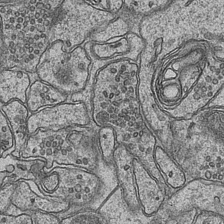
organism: Mouse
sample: CA1 Hippocampus